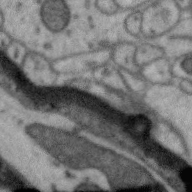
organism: Zebra finch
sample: Brain